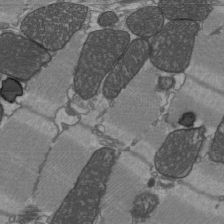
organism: C57BL Mouse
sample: Heart